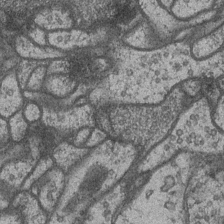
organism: Drosophila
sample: Optic medulla